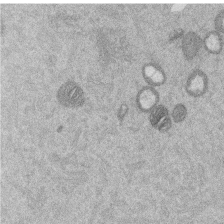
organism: Mouse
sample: Dividing mouse embryo 1 cell stage